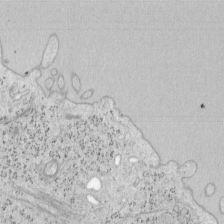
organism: Mouse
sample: OT-I killer T cells with ID8 ovarian cancer cells